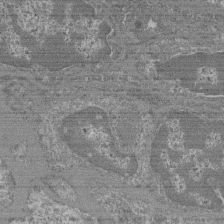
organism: Mouse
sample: Glomerulus